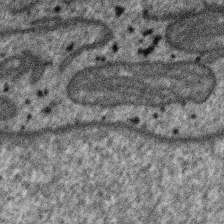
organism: Human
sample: Lung epithelial cells infected with SARS-CoV-2